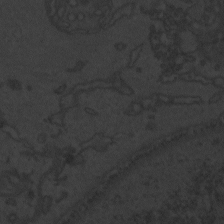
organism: Zebrafish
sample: Macrophage infected with Toxoplasma gondii